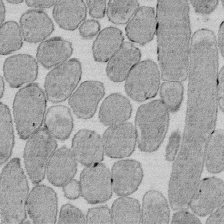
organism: E. coli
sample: Bacterial nucleoid